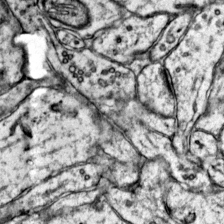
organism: Mouse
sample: Primary visual cortex